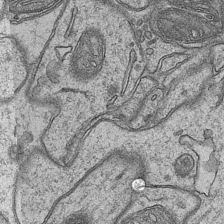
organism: Mouse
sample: CA1 Hippocampus